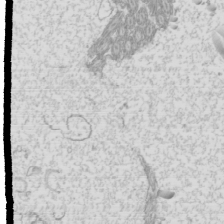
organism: Mouse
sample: Cilia; mouse epididymis